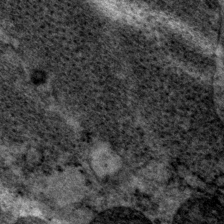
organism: P. pacificus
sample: Pharynx